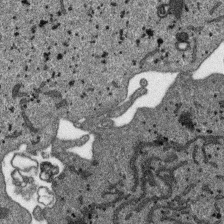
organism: Human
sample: Lung epithelial cells infected with SARS-CoV-2